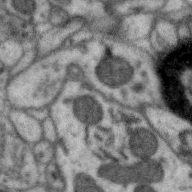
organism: Zebra finch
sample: Brain